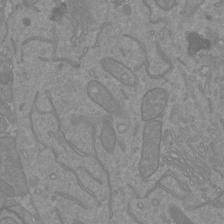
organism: Mouse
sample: Cortical neurons